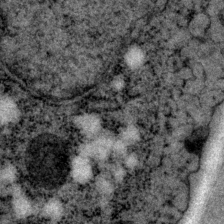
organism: P. pacificus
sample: Pharynx